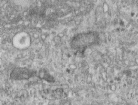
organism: Human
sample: Centriole in RPE cells